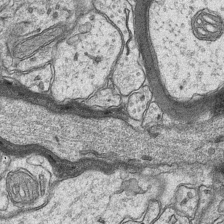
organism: Mouse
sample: CA1 Hippocampus